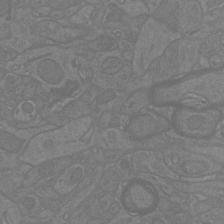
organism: Mouse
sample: Cortical neurons